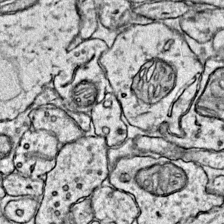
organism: Mouse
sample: Primary visual cortex